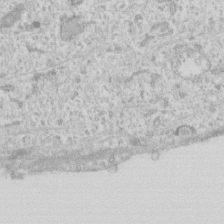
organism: Human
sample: Fibroblast cells